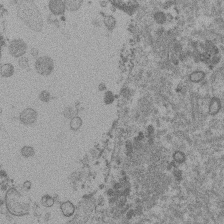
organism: Mouse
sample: Dividing mouse embryo 1 cell stage